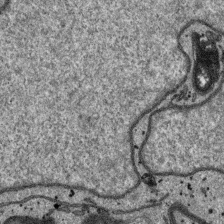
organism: Human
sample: Lung epithelial cells, uninfected (mock) control